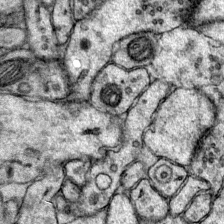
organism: Mouse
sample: Primary visual cortex